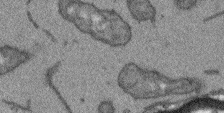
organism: Arabidopsis thaliana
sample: Root tip